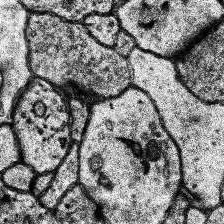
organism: Human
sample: Temporal Lobe